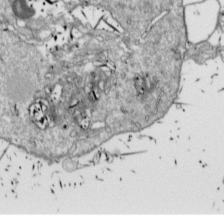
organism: Drosophila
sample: Cell division; meiosis; drosophila spermatocytes